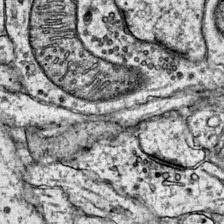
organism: Mouse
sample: Primary visual cortex